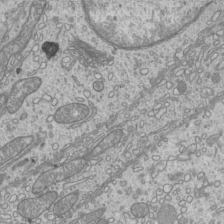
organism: Mouse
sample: Cilia; mouse epididymis